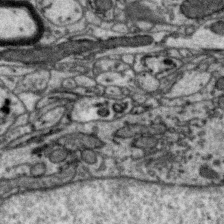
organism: Zebra finch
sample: Brain